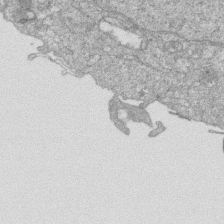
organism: Human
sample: HeLa cell HIV synapse